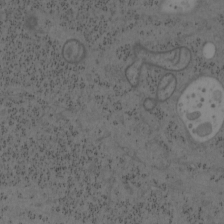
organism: Mouse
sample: OT-I killer T cells with ID8 ovarian cancer cells